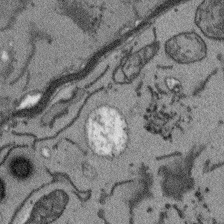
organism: Arabidopsis thaliana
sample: Root tip